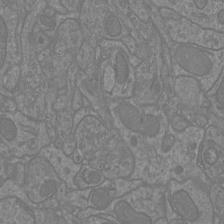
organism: Mouse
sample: Cortical neurons